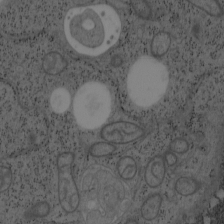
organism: Mouse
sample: OT-I killer T cells with ID8 ovarian cancer cells